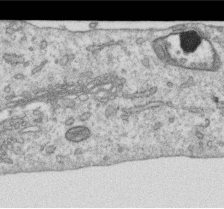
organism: Human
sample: Centriole in RPE cells